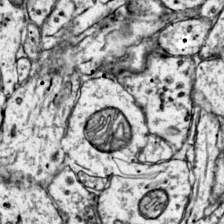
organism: Mouse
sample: Primary visual cortex